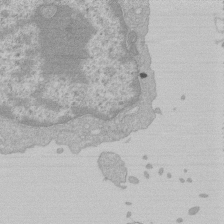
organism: Mouse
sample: Activated Pmel transgenic CD8+ T Cells